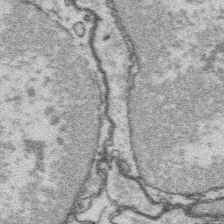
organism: Platynereis dumerilii